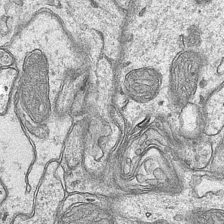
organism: Mouse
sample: CA1 Hippocampus